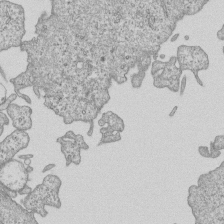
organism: Human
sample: MDA-MB-231 cells